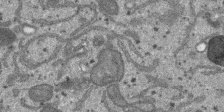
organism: Human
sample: Lung epithelial cells infected with SARS-CoV-2